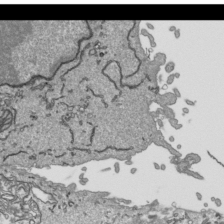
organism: Human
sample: Mitochondria in HCT116 cells